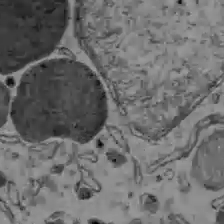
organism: C57BL Mouse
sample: Liver